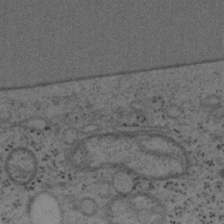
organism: Human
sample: HeLa cells